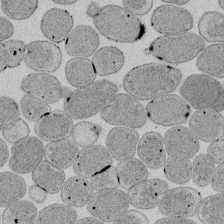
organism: E. coli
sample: Bacterial nucleoid